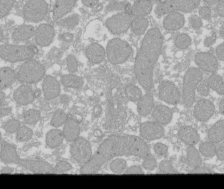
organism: Xenopus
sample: Cilia; centrioles in frog embryo cells